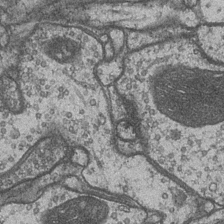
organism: Drosophila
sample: Optic medulla